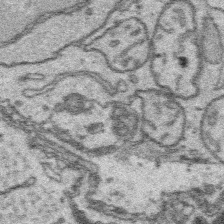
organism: Platynereis dumerilii